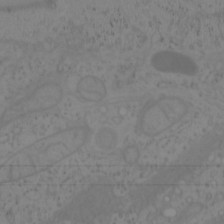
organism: Human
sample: HeLa cells